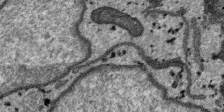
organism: Human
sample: Lung epithelial cells, uninfected (mock) control